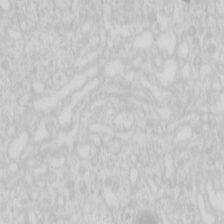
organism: Mouse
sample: Pancreas